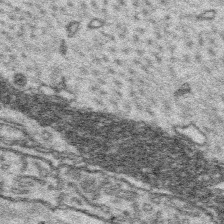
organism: Platynereis dumerilii